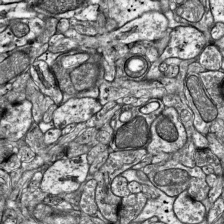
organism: Mouse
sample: Visual Cortex